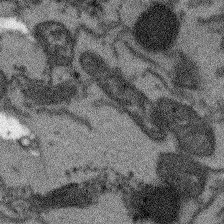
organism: Arabidopsis thaliana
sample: Root tip